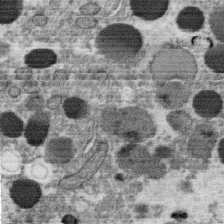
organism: C. elegans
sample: C. elegans oocyte; sperm cells